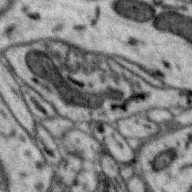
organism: Zebra finch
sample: Brain